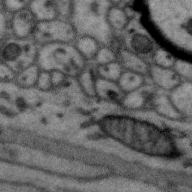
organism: Zebra finch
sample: Brain